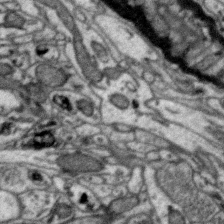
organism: Zebra finch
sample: Brain